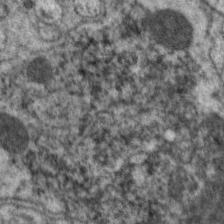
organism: C. elegans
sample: Pharynx